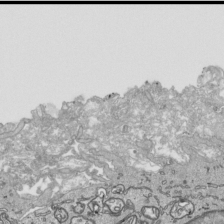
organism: Human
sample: Mitochondria in HCT116 cells